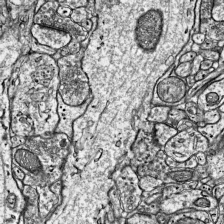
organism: Mouse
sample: Visual Cortex